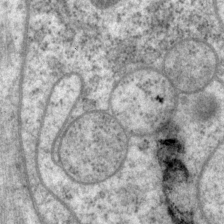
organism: P. pacificus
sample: Pharynx